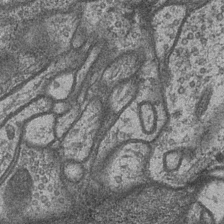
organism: Drosophila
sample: Optic medulla